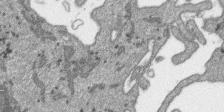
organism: Human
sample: Lung epithelial cells infected with SARS-CoV-2